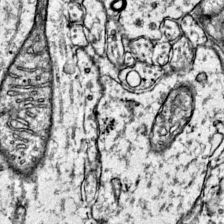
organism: Mouse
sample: Primary visual cortex